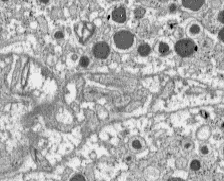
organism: C57BL Mouse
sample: Pancreatic islet